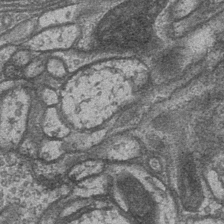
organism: Drosophila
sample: Optic medulla